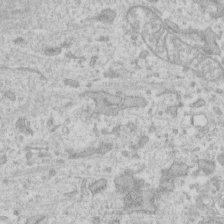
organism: Human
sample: Fibroblast cells